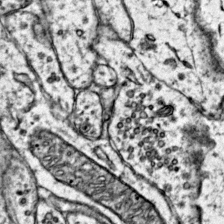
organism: Mouse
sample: Primary visual cortex